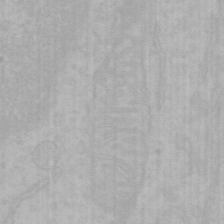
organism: Mouse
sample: Choroid plexus